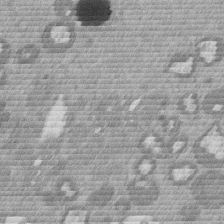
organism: Mouse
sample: Dividing mouse embryo 1 cell stage